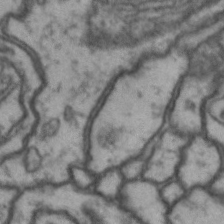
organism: Drosophila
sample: Brain